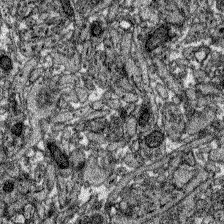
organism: Zebrafish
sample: Larval olfactory bulb